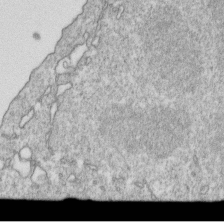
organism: Mouse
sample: Activated OT-1 CD8+ T cells